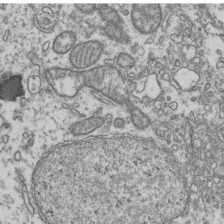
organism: Human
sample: Activated Jurkat CD4+ T cells